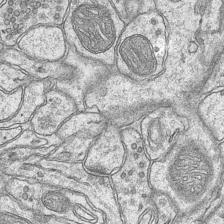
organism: Mouse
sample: CA1 Hippocampus